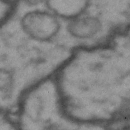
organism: Drosophila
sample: Brain